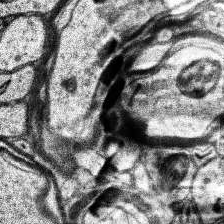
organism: Human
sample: Temporal Lobe